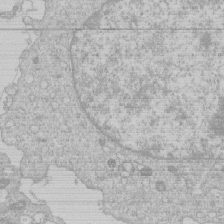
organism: Human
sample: Macrophage cells